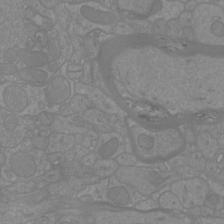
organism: Mouse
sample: Cortical neurons